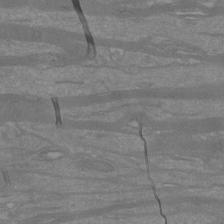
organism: Mouse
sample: Cortical neurons